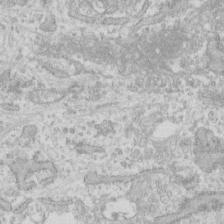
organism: Human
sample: Fibroblast cells